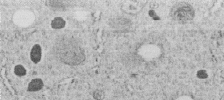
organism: C. elegans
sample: C. elegans embryo early stage